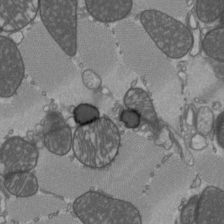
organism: C57BL Mouse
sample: Heart